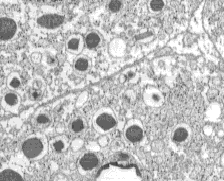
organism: C57BL Mouse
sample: Pancreatic islet